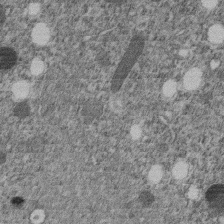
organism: C. elegans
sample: C. elegans embryo early stage